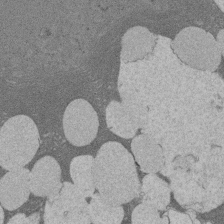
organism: Rat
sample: Salivary granule